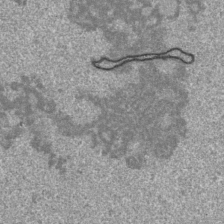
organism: Human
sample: Mitochondria in HCT116 cells